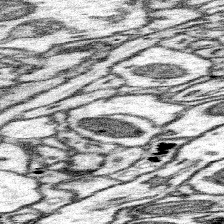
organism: Mouse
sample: Somatosensory cortex neuropil